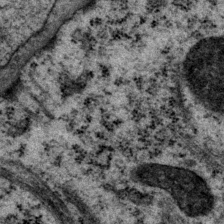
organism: P. pacificus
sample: Pharynx